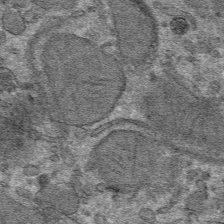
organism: Mouse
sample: Mouse hepatocytes